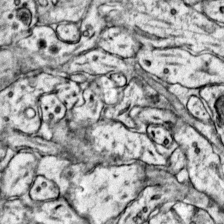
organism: Mouse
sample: Primary visual cortex